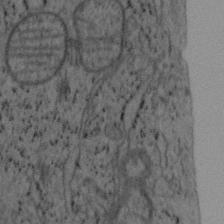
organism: Human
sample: HeLa cells